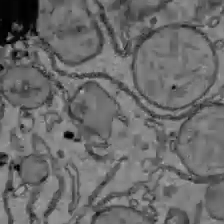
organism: C57BL Mouse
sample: Liver